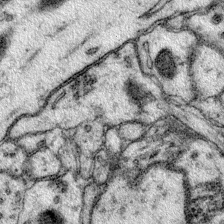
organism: Mouse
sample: Primary visual cortex